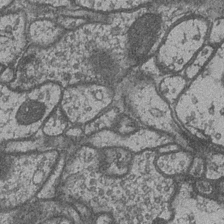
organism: Drosophila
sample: Optic medulla